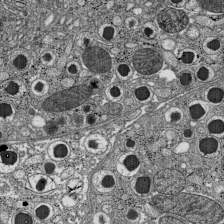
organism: C57BL Mouse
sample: Pancreatic islet